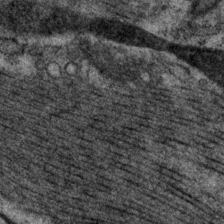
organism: P. pacificus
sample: Pharynx